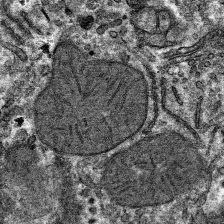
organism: Mouse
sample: Mouse hepatocytes